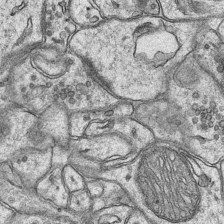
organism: Mouse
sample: CA1 Hippocampus